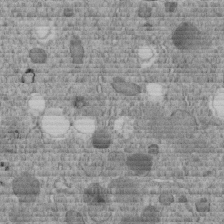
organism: C. elegans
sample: C. elegans embryo early stage